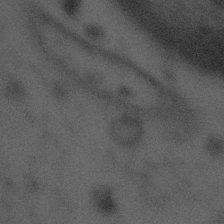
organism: Tuwongella immobilis